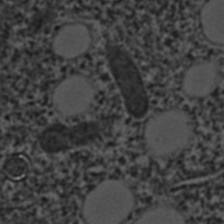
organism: C. elegans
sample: C. elegans embryo